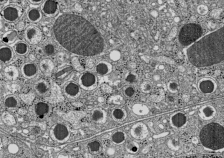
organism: C57BL Mouse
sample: Pancreatic islet